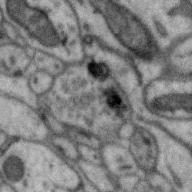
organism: Zebra finch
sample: Brain